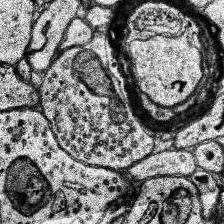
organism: Human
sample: Temporal Lobe